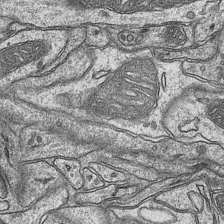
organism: Mouse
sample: CA1 Hippocampus